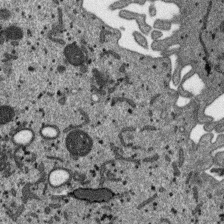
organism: Human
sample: Lung epithelial cells infected with SARS-CoV-2